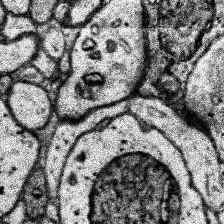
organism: Human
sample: Temporal Lobe